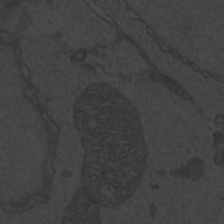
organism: Zebrafish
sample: Macrophage infected with Toxoplasma gondii